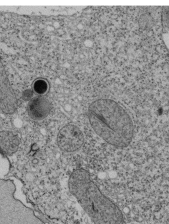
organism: Tetrahymena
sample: Cilia in tetrahymena